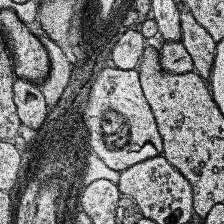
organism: Human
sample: Temporal Lobe